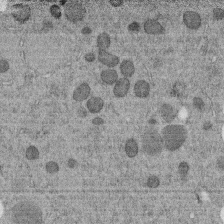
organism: C. elegans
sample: C. elegans embryo early stage